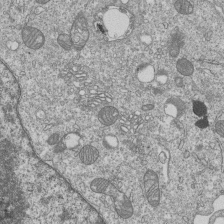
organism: Human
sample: MDA-MB-231 cells